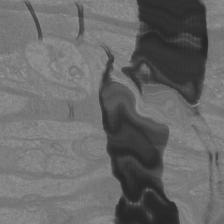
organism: Mouse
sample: Cortical neurons